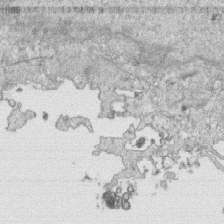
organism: Human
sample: HeLa cell HIV synapse